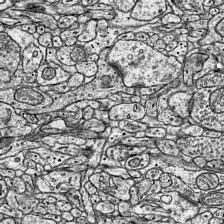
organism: Mouse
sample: Visual Cortex